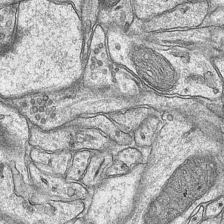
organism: Mouse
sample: CA1 Hippocampus